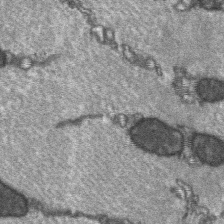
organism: C57BL Mouse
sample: Soleus